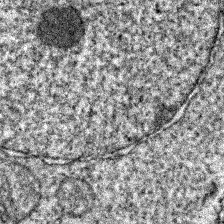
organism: Zebrafish